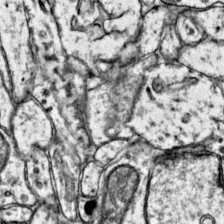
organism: Mouse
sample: Primary visual cortex